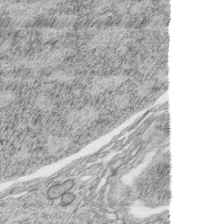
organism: Zebrafish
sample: synaptic ribbons in rod cells and cone cells